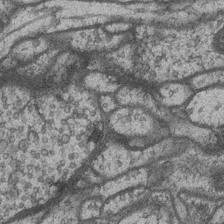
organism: Drosophila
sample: Optic medulla